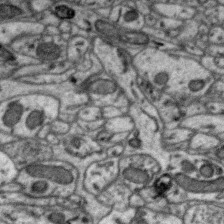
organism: Zebra finch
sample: Brain